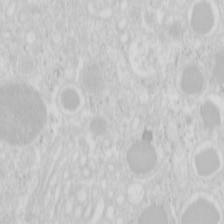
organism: Mouse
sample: Pancreas